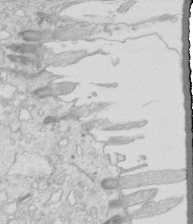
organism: Mouse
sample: Multiciliated cells